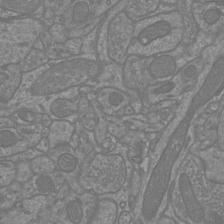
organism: Mouse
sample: Cortical neurons